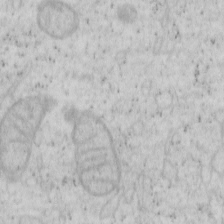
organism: Human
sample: HeLa cells